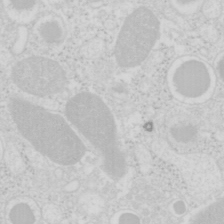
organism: Mouse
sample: Pancreas